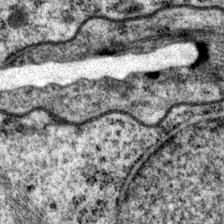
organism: P. pacificus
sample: Pharynx